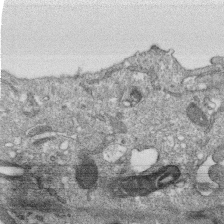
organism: African green monkey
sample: Vero E6 cells infected with SARS-CoV-2